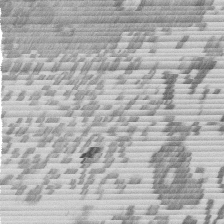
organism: Mouse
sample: Dividing mouse embryo 1 cell stage